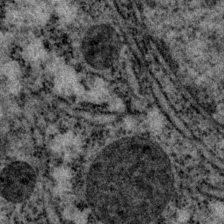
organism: P. pacificus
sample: Pharynx